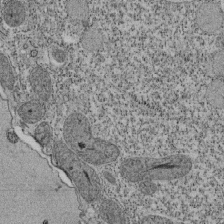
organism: Tetrahymena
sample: Cilia in tetrahymena